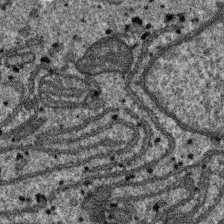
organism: Human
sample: Lung epithelial cells infected with SARS-CoV-2